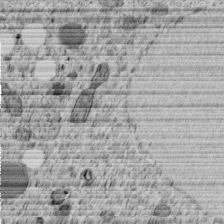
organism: C. elegans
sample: C. elegans embryo early stage